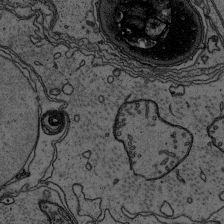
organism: Platynereis dumerilii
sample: Parapodia